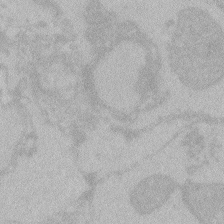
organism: Zebrafish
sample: Macrophage infected with Toxoplasma gondii